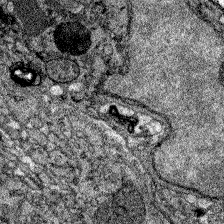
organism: Zebrafish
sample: Larval olfactory bulb